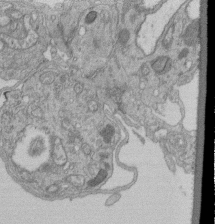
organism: Human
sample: Retinal organoid Rod and Cone cells